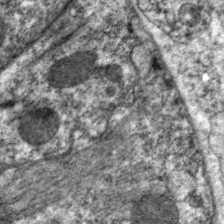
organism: C. elegans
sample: Pharynx